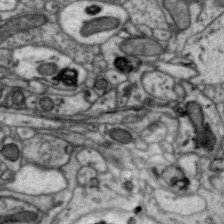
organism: Zebra finch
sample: Brain